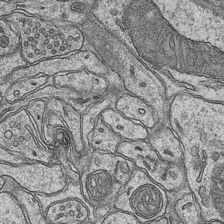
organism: Mouse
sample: CA1 Hippocampus